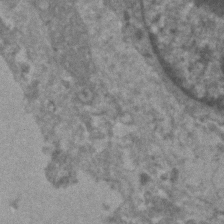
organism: Human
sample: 1205lu cells